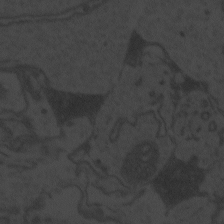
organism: Zebrafish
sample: Macrophage infected with Toxoplasma gondii